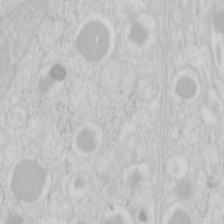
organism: Mouse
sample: Pancreas